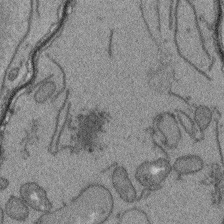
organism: Arabidopsis thaliana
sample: Root tip